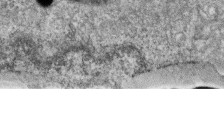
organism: Zebrafish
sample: Cilia; retinal pigment epithelium